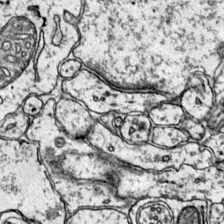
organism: Mouse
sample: Primary visual cortex